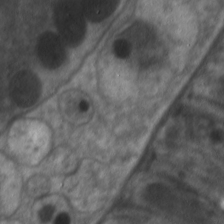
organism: C. elegans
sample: Pharynx